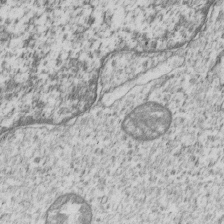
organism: Human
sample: MDA-MB-231 cells